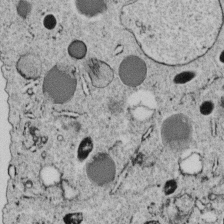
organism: C. elegans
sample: C. elegans embryo early stage